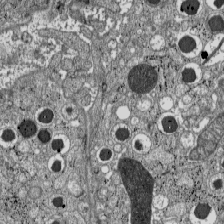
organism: C57BL Mouse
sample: Pancreatic islet